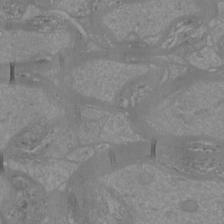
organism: Mouse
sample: Cortical neurons